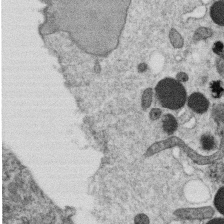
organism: C. elegans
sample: C. elegans oocyte; sperm cells